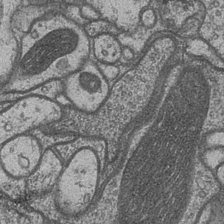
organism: Drosophila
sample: Optic medulla